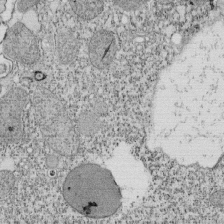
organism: Tetrahymena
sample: Cilia in tetrahymena